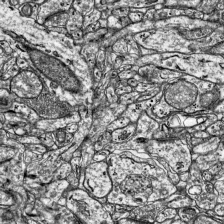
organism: Mouse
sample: Visual Cortex